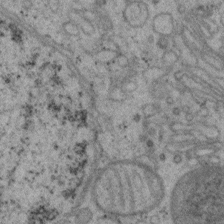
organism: Human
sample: HeLa cells